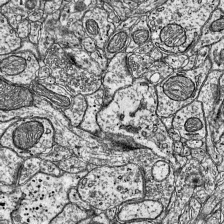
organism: Mouse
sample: Visual Cortex